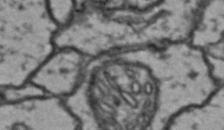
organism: Drosophila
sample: Brain